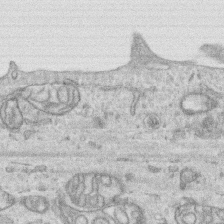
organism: Human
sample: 1205lu cells